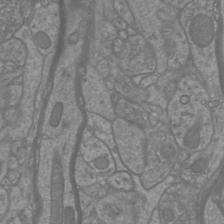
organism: Mouse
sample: Cortical neurons